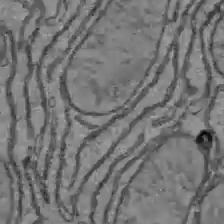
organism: C57BL Mouse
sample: Liver